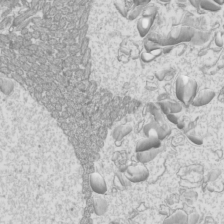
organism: Mouse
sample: Cilia; mouse epididymis